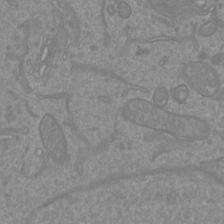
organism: Mouse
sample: Cortical neurons